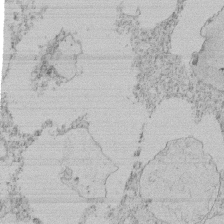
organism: Tetrahymena